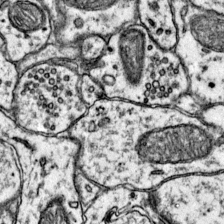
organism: Mouse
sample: Primary visual cortex